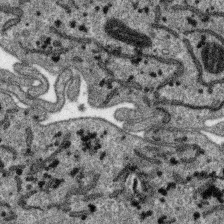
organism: Human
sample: Lung epithelial cells infected with SARS-CoV-2